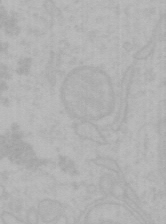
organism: Mouse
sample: Choroid plexus